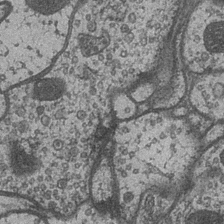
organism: Drosophila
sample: Optic medulla